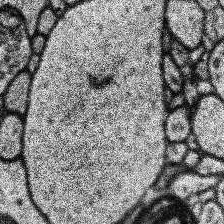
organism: Human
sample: Temporal Lobe